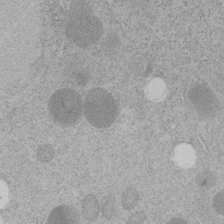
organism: C. elegans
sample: C. elegans embryo early stage